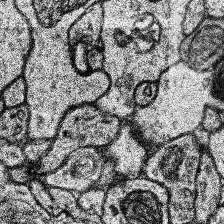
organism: Human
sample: Temporal Lobe